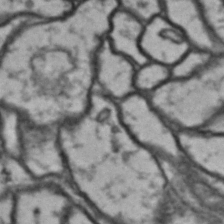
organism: Drosophila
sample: Brain